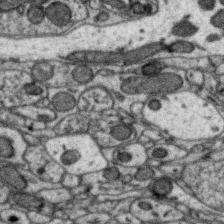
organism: Zebra finch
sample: Brain